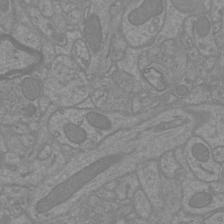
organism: Mouse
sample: Cortical neurons